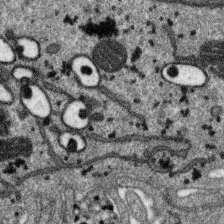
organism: Human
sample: Lung epithelial cells infected with SARS-CoV-2